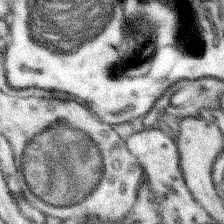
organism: Mouse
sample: Somatosensory cortex neuropil